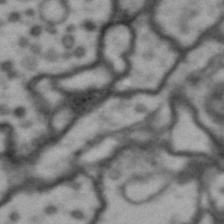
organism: Drosophila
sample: Brain